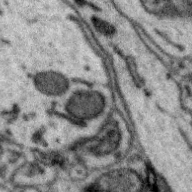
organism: Zebra finch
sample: Brain